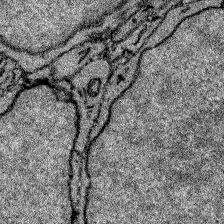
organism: Zebrafish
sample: Larval olfactory bulb